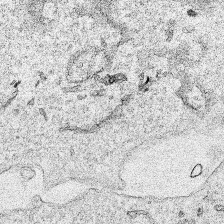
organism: Human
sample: Mitochondria in HCT116 cells